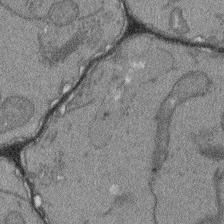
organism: Arabidopsis thaliana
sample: Root tip